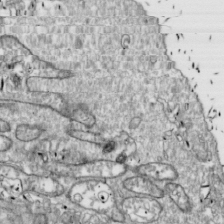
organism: Drosophila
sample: Cell division; meiosis; drosophila spermatocytes